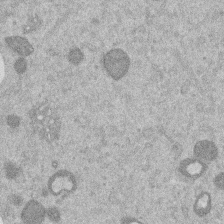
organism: Mouse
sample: Dividing mouse embryo 1 cell stage